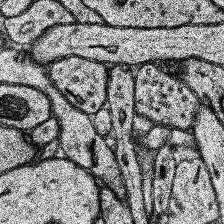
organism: Human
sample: Temporal Lobe